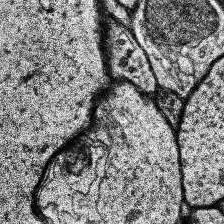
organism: Human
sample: Temporal Lobe